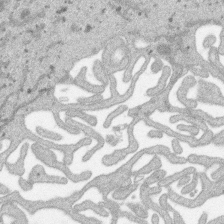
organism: Human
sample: Lung epithelial cells infected with SARS-CoV-2